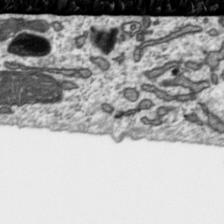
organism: Toxoplasma gondii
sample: Parasites in a vacuole inside a host cell